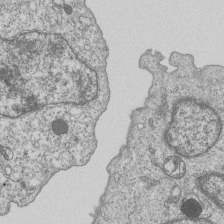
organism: Human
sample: MDA-MB-231 cells